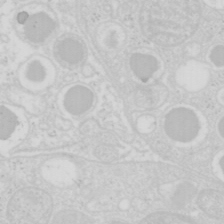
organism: Mouse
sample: Pancreas